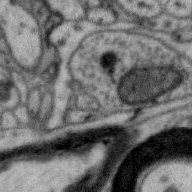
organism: Zebra finch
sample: Brain